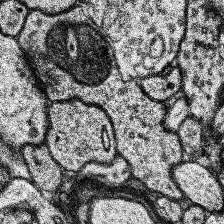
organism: Human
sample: Temporal Lobe